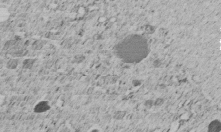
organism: C. elegans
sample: C. elegans embryo early stage